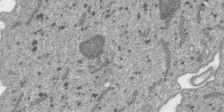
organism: Human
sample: Lung epithelial cells infected with SARS-CoV-2